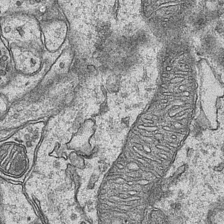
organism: Mouse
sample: CA1 Hippocampus